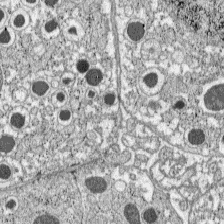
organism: C57BL Mouse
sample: Pancreatic islet